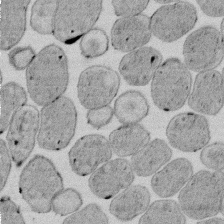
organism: E. coli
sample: Bacterial nucleoid